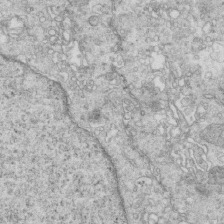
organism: Mouse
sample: Multiciliated cells